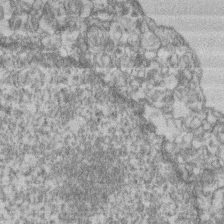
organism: Mouse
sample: T cell stromal cell synapse